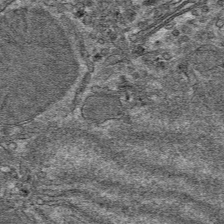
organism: Mouse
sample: Mouse hepatocytes